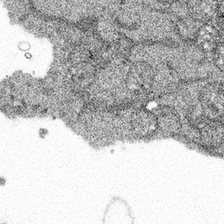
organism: Spongilla lacustris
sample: Multiple